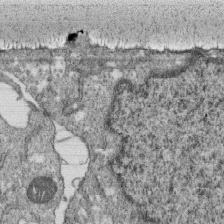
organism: African green monkey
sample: Vero E6 cells infected with SARS-CoV-2